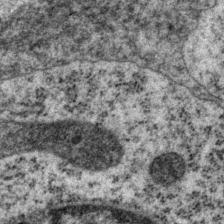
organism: P. pacificus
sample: Pharynx